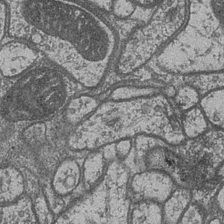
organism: Drosophila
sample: Optic medulla